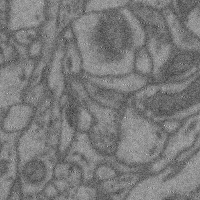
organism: Mouse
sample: Cerebral cortex